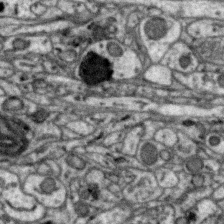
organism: Zebra finch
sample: Brain